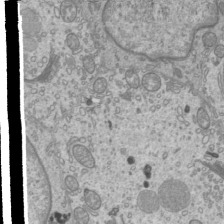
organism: Mouse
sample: Cilia; mouse epididymis